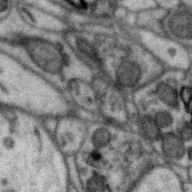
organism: Zebra finch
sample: Brain